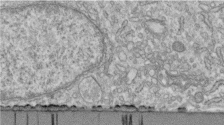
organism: Human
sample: Centriole in fibroblast cells